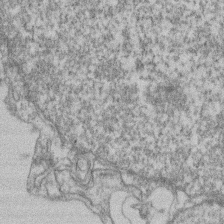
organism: Mouse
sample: T cell stromal cell synapse